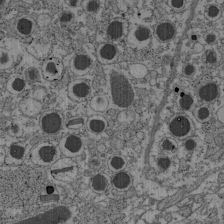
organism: C57BL Mouse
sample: Pancreatic islet